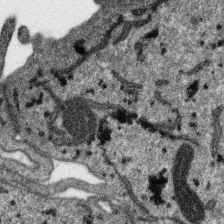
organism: Human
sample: Lung epithelial cells infected with SARS-CoV-2